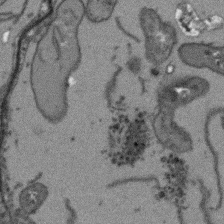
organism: Arabidopsis thaliana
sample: Root tip